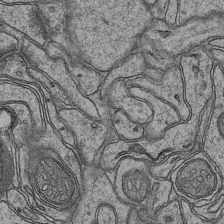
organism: Mouse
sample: CA1 Hippocampus